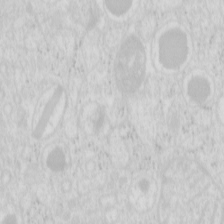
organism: Mouse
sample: Pancreas